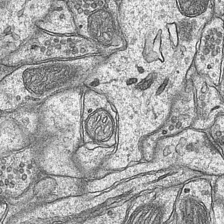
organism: Mouse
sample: CA1 Hippocampus